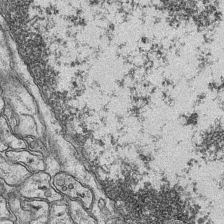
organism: Mouse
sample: CA1 Hippocampus